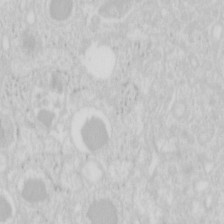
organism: Mouse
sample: Pancreas